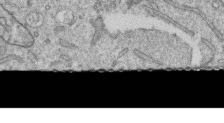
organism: Human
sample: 1205lu cells